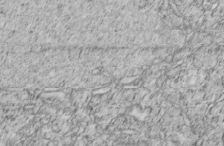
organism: C. elegans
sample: C. elegans embryo early stage